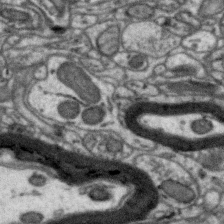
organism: Zebra finch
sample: Brain